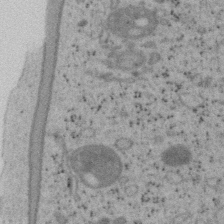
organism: Human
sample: HeLa cells